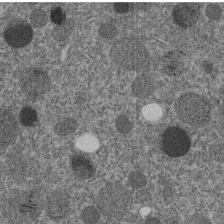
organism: C. elegans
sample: C. elegans embryo early stage